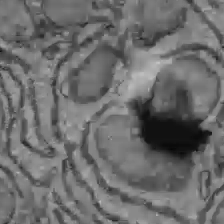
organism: C57BL Mouse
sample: Liver